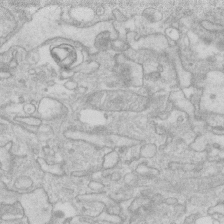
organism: Human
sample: Fibroblast cells